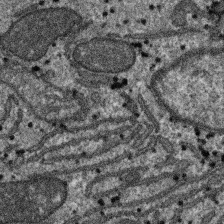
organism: Human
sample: Lung epithelial cells infected with SARS-CoV-2